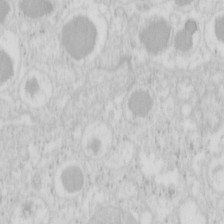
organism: Mouse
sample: Pancreas